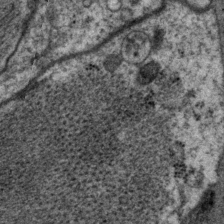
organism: P. pacificus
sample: Pharynx